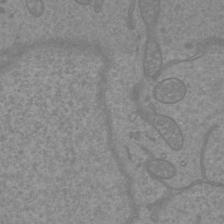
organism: Mouse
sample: Cortical neurons